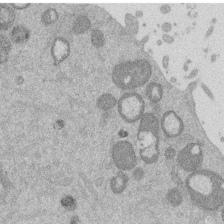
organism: Mouse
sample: Dividing mouse embryo 1 cell stage